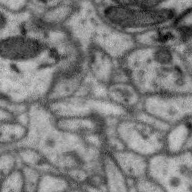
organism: Zebra finch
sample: Brain